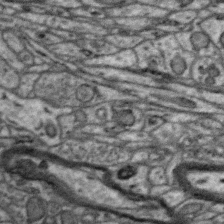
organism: Zebra finch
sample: Brain